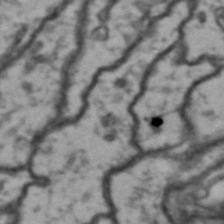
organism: Drosophila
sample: Brain